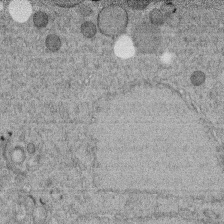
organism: C. elegans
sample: C. elegans embryo early stage